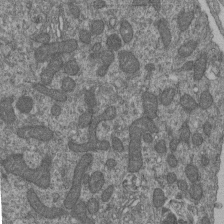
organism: Human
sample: Retinal organoid Rod and Cone cells